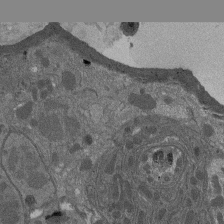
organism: Drosophila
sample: Antenna